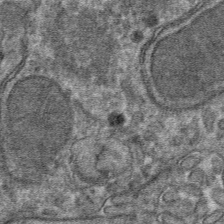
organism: Mouse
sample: Mouse hepatocytes